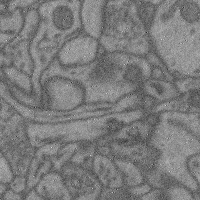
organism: Mouse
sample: Cerebral cortex